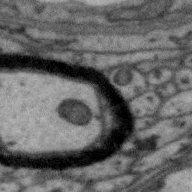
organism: Zebra finch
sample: Brain